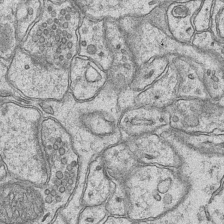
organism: Mouse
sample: CA1 Hippocampus